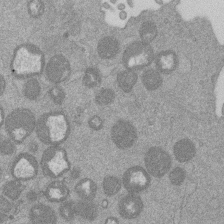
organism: Mouse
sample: Dividing mouse embryo 1 cell stage